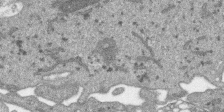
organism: Human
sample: Lung epithelial cells infected with SARS-CoV-2